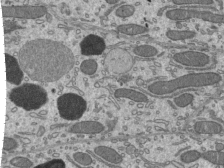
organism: Mouse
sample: Mouse epididymis efferent ductule cilia